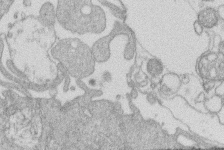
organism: Human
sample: Macrophage cells